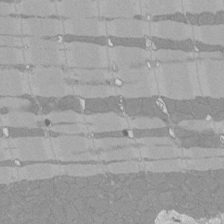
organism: Rat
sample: Left ventricle